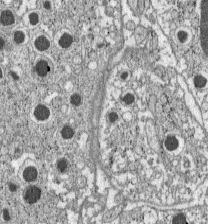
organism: C57BL Mouse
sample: Pancreatic islet